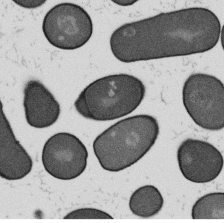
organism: B. subtilis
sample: Bacterial spore